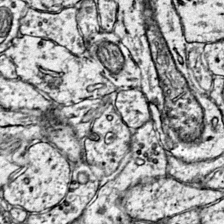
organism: Mouse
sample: Primary visual cortex